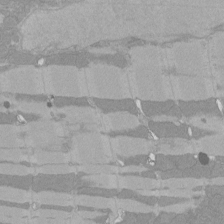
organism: Rat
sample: Left ventricle